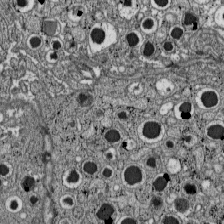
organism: C57BL Mouse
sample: Pancreatic islet